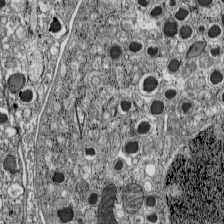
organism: C57BL Mouse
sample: Pancreatic islet